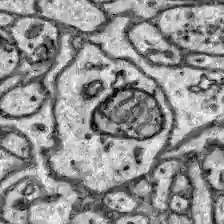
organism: Zebrafish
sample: Brain